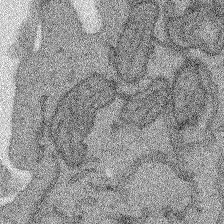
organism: Human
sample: HeLa cells